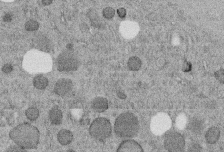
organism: C. elegans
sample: C. elegans embryo early stage